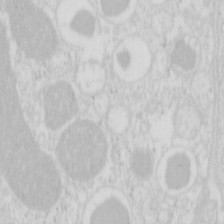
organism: Mouse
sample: Pancreas